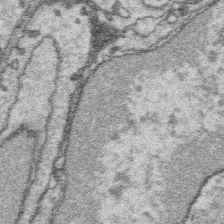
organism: Platynereis dumerilii